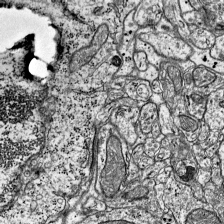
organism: Mouse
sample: Visual Cortex